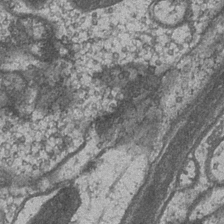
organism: Drosophila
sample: Optic medulla